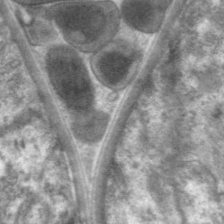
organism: C. elegans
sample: Pharynx